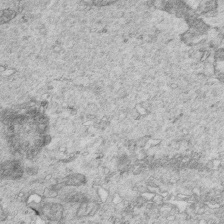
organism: Mouse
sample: Multiciliated cells